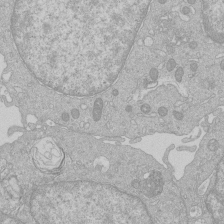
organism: Human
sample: Macrophage cells